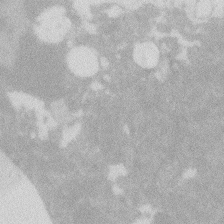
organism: Zebrafish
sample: Macrophage